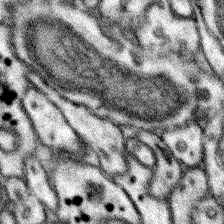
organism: Mouse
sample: Somatosensory cortex neuropil